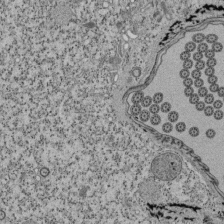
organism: Tetrahymena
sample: Cilia in tetrahymena